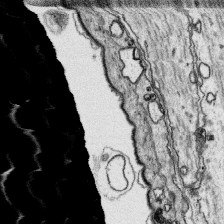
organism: Platynereis dumerilii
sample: Parapodia